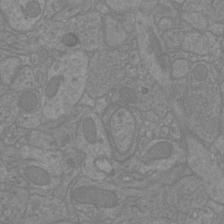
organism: Mouse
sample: Cortical neurons